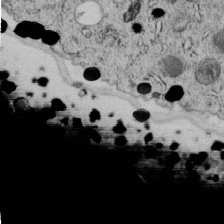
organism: C. elegans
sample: C. elegans embryo early stage